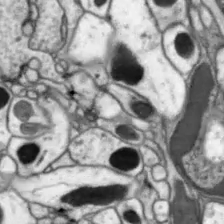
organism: Drosophila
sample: Optic lobe